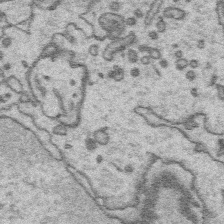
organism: Platynereis dumerilii